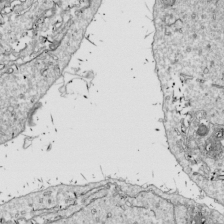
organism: Drosophila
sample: Cell division; meiosis; drosophila spermatocytes